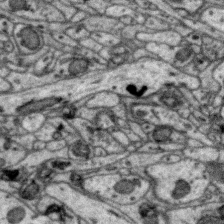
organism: Zebra finch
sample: Brain